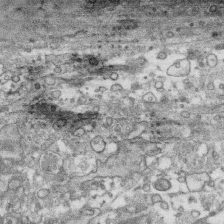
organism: Human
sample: CRL-1474